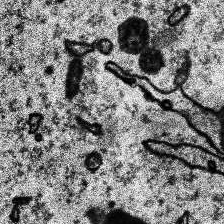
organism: Human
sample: Temporal Lobe